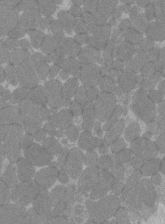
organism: C57BL Mouse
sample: Tibialis anterior muscle cell